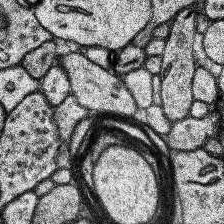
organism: Human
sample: Temporal Lobe